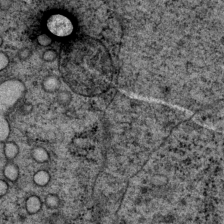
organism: P. pacificus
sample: Pharynx